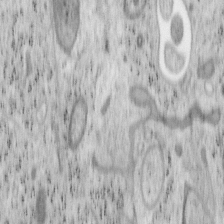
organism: Human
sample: HeLa cells